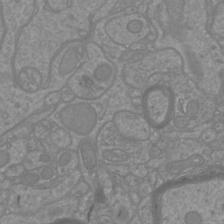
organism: Mouse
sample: Cortical neurons